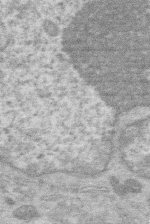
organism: Human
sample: Macrophage cells